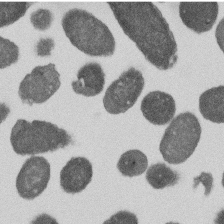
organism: E. coli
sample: Bacterial nucleoid